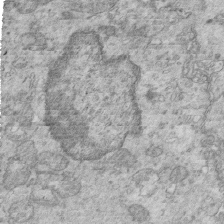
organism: Mouse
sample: Multiciliated cells